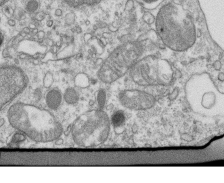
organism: Mouse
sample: Activated OT-1 CD8+ T cells